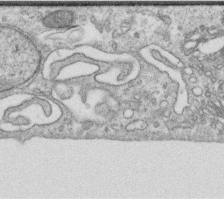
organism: Human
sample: Centriole in RPE cells